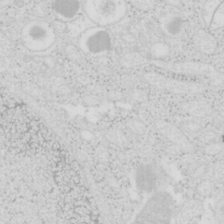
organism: Mouse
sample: Pancreas